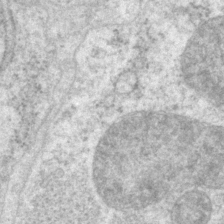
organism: P. pacificus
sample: Pharynx